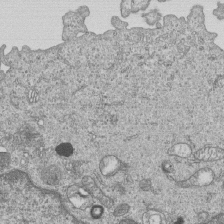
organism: Human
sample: MDA-MB-231 cells